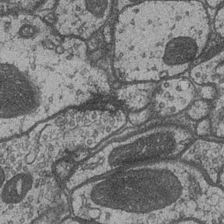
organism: Drosophila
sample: Optic medulla